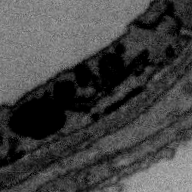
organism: Zebra finch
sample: Brain